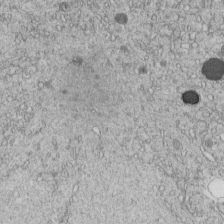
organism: C. elegans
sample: C. elegans embryo early stage